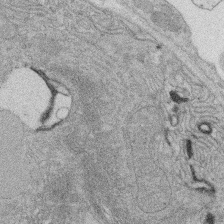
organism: Rat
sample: Salivary granule